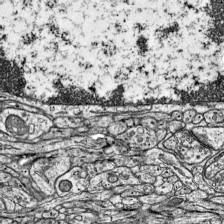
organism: Mouse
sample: Visual Cortex